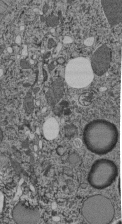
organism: C. elegans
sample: C. elegans pharynx